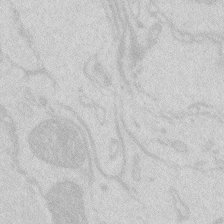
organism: Zebrafish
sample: Macrophage